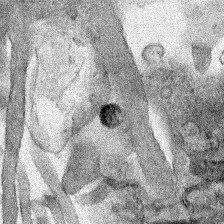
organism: Human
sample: Mitochondria in HCT116 cells